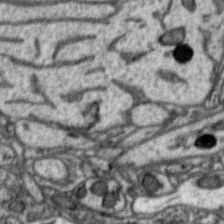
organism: Zebra finch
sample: Brain